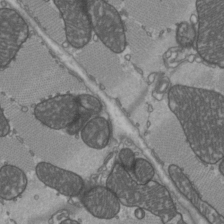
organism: C57BL Mouse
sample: Heart